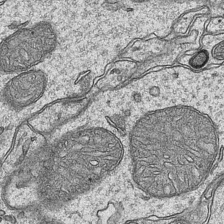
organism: Mouse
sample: CA1 Hippocampus